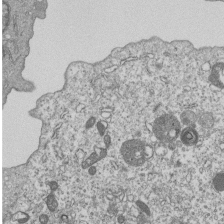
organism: Human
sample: MDA-MB-231 cells